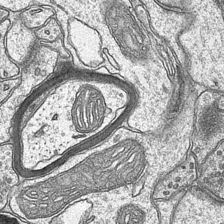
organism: Mouse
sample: CA1 Hippocampus